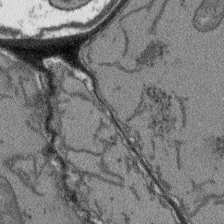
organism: Arabidopsis thaliana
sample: Root tip